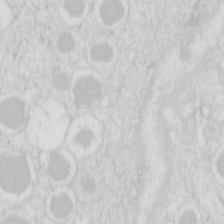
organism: Mouse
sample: Pancreas